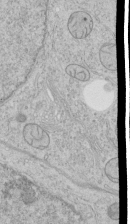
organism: Human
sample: Mitochondria in HCT116 cells